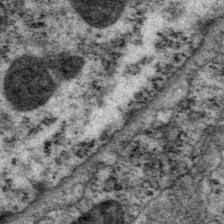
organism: P. pacificus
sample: Pharynx